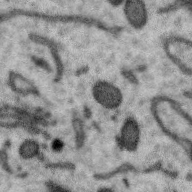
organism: Zebra finch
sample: Brain